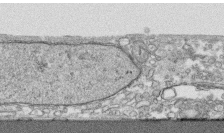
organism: Human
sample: CRL-1474